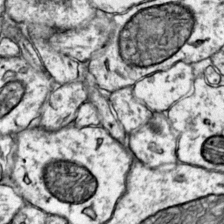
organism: Mouse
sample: Primary visual cortex